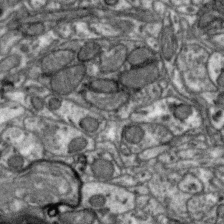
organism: Zebra finch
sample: Brain